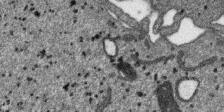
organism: Human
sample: Lung epithelial cells infected with SARS-CoV-2